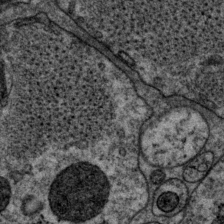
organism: P. pacificus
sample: Pharynx